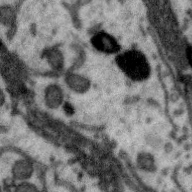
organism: Zebra finch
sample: Brain